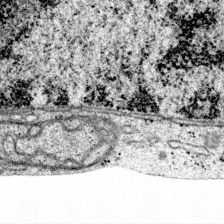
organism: Human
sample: HeLa cells